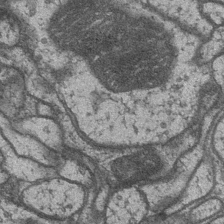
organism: Drosophila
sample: Optic medulla